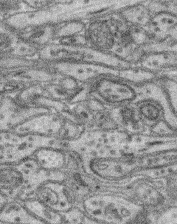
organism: Mouse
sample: Retina